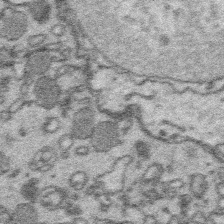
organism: Platynereis dumerilii